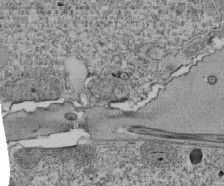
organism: Tetrahymena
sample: Cilia in tetrahymena